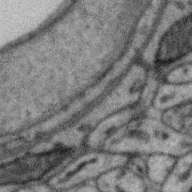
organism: Zebra finch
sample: Brain